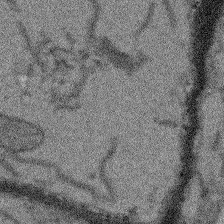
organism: Arabidopsis thaliana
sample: Root tip